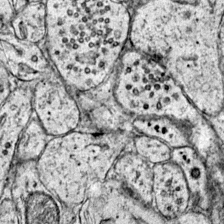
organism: Mouse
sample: Primary visual cortex